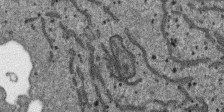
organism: Human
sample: Lung epithelial cells infected with SARS-CoV-2